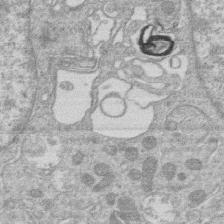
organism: Human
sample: Macrophage cells